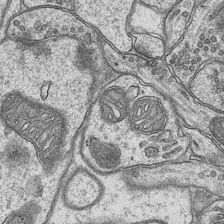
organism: Mouse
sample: CA1 Hippocampus